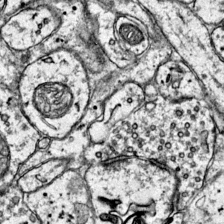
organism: Mouse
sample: Primary visual cortex